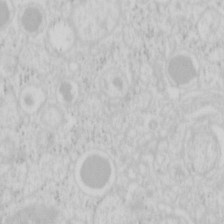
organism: Mouse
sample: Pancreas